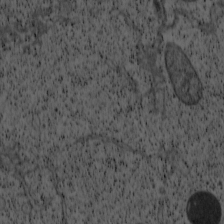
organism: African green monkey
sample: COS-7 cells